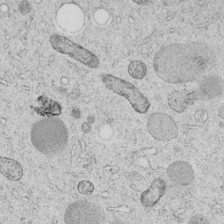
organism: C. elegans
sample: C. elegans embryo early stage